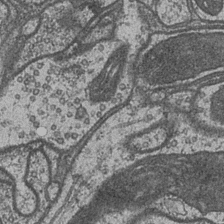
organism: Drosophila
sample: Optic medulla